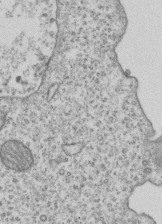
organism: Human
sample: MDA-MB-231 cells